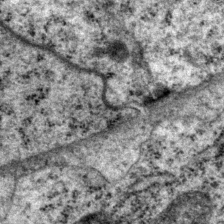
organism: P. pacificus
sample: Pharynx